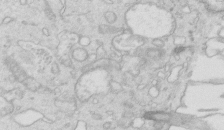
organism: Mouse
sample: Multiciliated cells